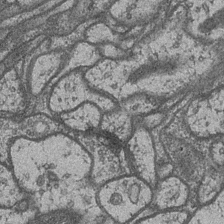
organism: Drosophila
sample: Optic medulla